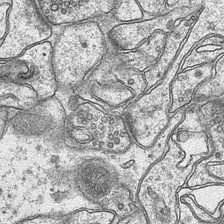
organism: Mouse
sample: CA1 Hippocampus